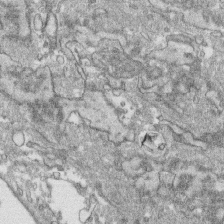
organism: Human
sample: CRL-1474